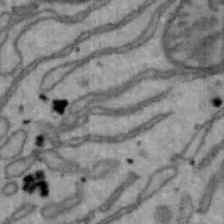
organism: Mouse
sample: Liver